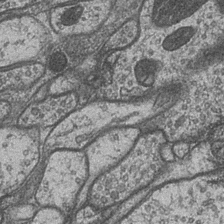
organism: Drosophila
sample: Optic medulla